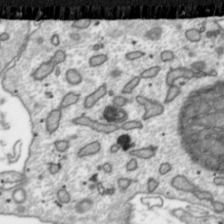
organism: Toxoplasma gondii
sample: Parasites in a vacuole inside a host cell